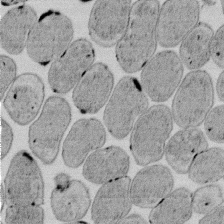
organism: E. coli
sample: Bacterial nucleoid